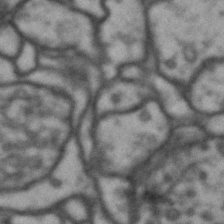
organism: Drosophila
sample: Brain